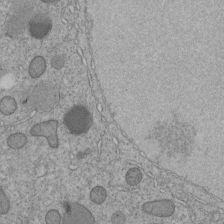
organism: C. elegans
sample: C. elegans embryo early stage